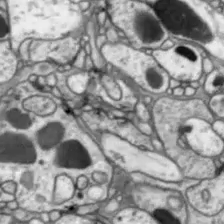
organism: Drosophila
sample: Optic lobe